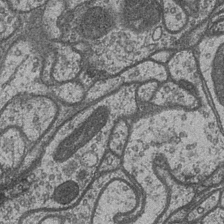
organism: Drosophila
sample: Optic medulla